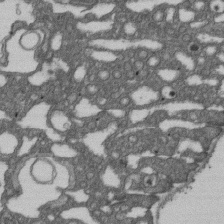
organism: Drosophila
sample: Nephrocyte